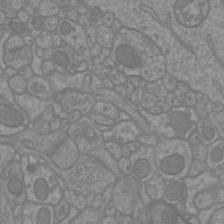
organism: Mouse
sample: Cortical neurons